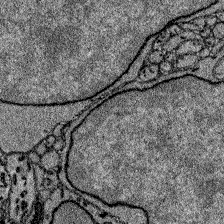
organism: Zebrafish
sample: Larval olfactory bulb